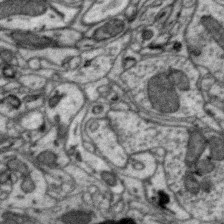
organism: Zebra finch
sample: Brain